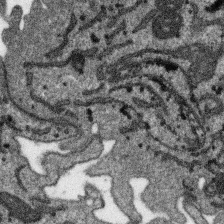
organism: Human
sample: Lung epithelial cells infected with SARS-CoV-2